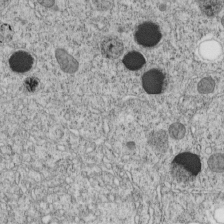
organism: C. elegans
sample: C. elegans embryo early stage